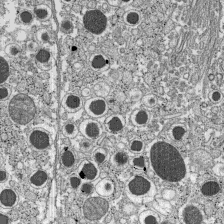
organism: C57BL Mouse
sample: Pancreatic islet